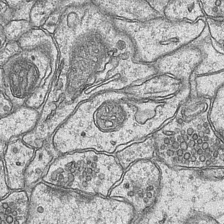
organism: Mouse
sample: CA1 Hippocampus